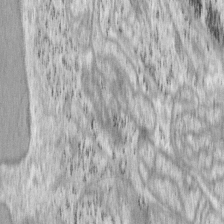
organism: Human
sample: HeLa cells